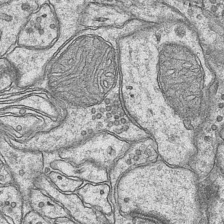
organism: Mouse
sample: CA1 Hippocampus